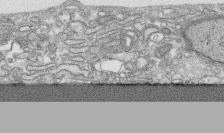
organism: Human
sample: CRL-1474